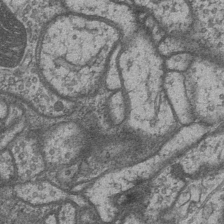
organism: Drosophila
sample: Optic medulla